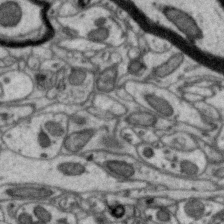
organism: Zebra finch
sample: Brain